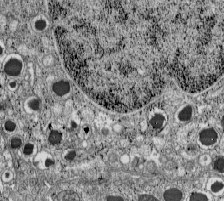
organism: C57BL Mouse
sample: Pancreatic islet